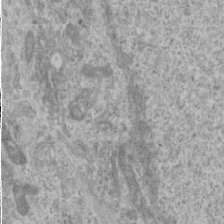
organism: Human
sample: Cilia; basal body in RPE cells